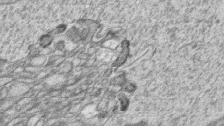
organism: Zebrafish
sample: synaptic ribbons in rod cells and cone cells